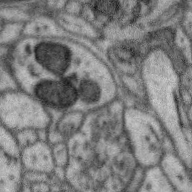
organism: Zebra finch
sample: Brain